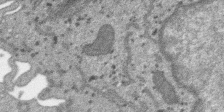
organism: Human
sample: Lung epithelial cells infected with SARS-CoV-2